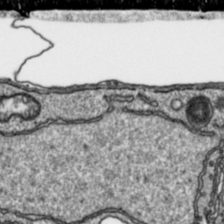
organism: Toxoplasma gondii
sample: Parasites in a vacuole inside a host cell